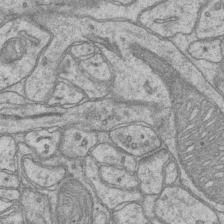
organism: Mouse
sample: CA1 Hippocampus